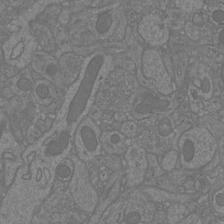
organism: Mouse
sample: Cortical neurons